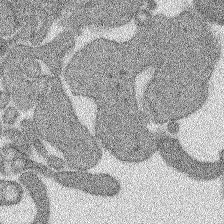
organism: Human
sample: HeLa cells